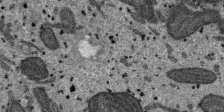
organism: Human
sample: Lung epithelial cells, uninfected (mock) control